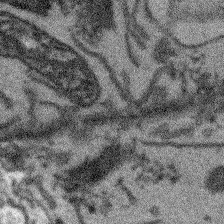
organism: Arabidopsis thaliana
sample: Root tip